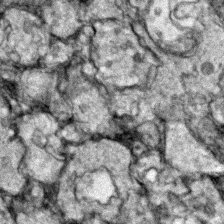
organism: Zebrafish